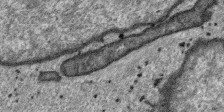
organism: Human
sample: Lung epithelial cells, uninfected (mock) control